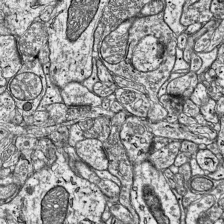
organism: Mouse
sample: Visual Cortex